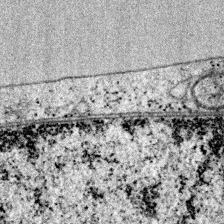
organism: Human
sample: HeLa cells